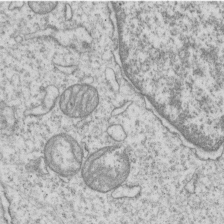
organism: Human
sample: MDA-MB-231 cells